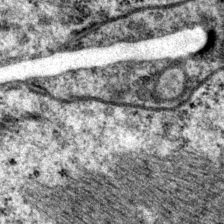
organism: P. pacificus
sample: Pharynx